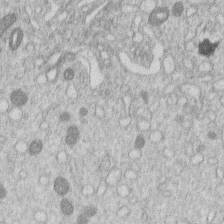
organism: Human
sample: Macrophage cells